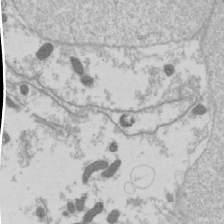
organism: Drosophila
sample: Cell division; meiosis; drosophila spermatocytes